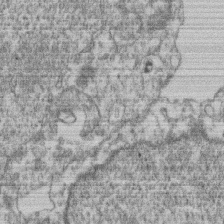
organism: Mouse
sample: T cell stromal cell synapse